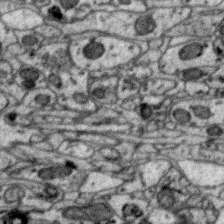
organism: Zebra finch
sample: Brain